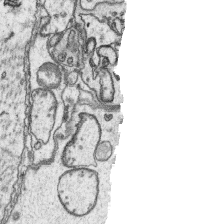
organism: Platynereis dumerilii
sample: Parapodia